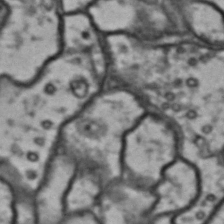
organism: Drosophila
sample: Brain